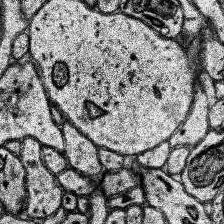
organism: Human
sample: Temporal Lobe